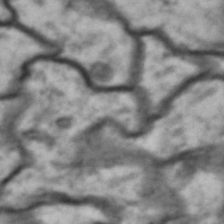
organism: Drosophila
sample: Brain